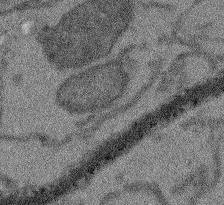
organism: Arabidopsis thaliana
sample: Root tip